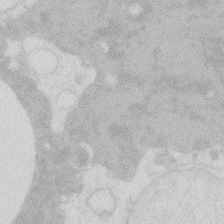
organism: Zebrafish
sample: Macrophage